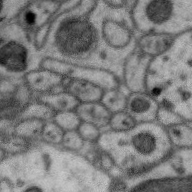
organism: Zebra finch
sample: Brain